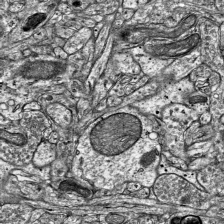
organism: Mouse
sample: Visual Cortex